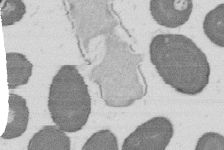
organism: B. subtilis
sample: Bacterial spore